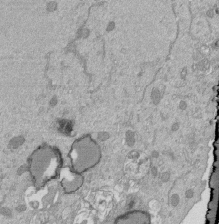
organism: Mouse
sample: ED-1 cell nuclei; centrioles